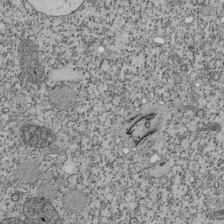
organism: Tetrahymena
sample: Cilia in tetrahymena